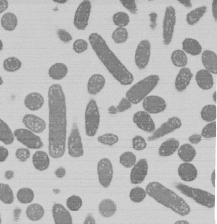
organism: E. coli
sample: Bacterial nucleoid